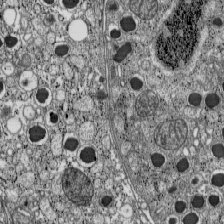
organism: C57BL Mouse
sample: Pancreatic islet